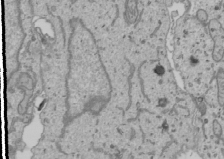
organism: Human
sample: Mitochondria in U2OS cells